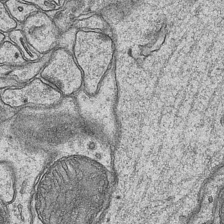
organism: Mouse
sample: CA1 Hippocampus